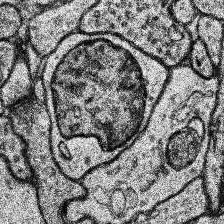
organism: Human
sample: Temporal Lobe